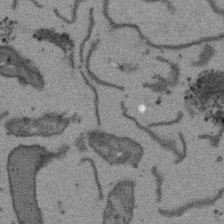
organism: Arabidopsis thaliana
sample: Root tip